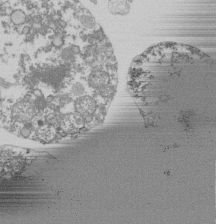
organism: Mouse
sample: Activated Pmel transgenic CD8+ T Cells